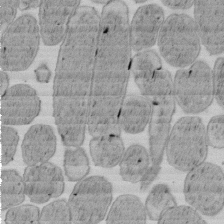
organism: E. coli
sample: Bacterial nucleoid